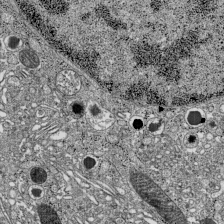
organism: C57BL Mouse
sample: Pancreatic islet